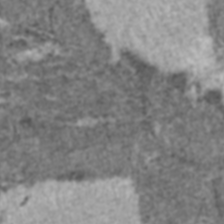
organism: C57BL Mouse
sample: Heart